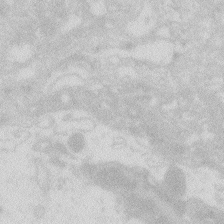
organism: Zebrafish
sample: Macrophage